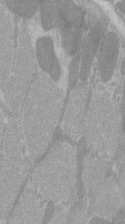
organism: C57BL Mouse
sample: Tibialis anterior muscle cell